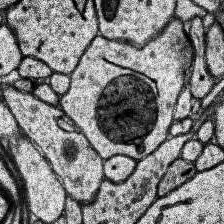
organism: Human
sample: Temporal Lobe